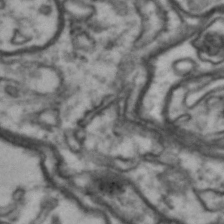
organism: Drosophila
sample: Brain